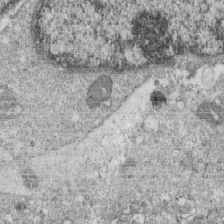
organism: African green monkey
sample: Vero E6 cells infected with SARS-CoV-2